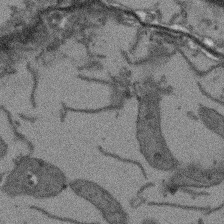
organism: Arabidopsis thaliana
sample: Root tip